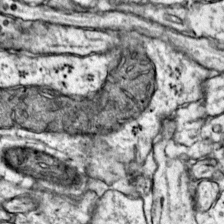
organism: Mouse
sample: Primary visual cortex